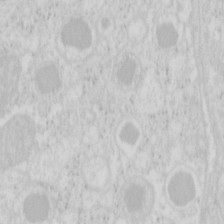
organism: Mouse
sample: Pancreas